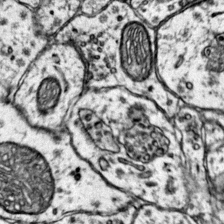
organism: Mouse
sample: Primary visual cortex